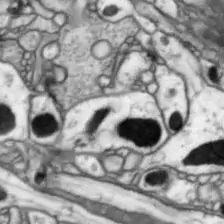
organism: Drosophila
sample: Optic lobe